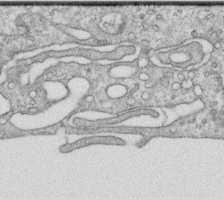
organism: Human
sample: Centriole in RPE cells